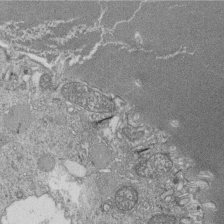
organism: Tetrahymena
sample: Cilia in tetrahymena